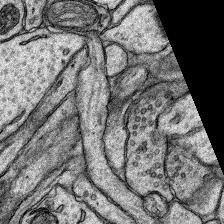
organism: Rat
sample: Hippocampus